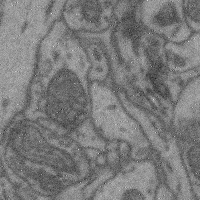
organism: Mouse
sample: Cerebral cortex